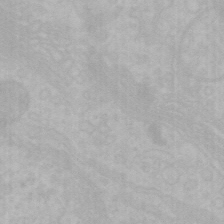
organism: Mouse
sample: Choroid plexus